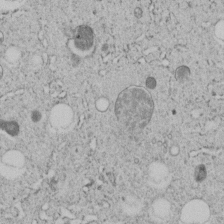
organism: C. elegans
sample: C. elegans embryo early stage